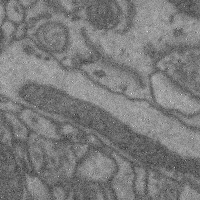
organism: Mouse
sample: Cerebral cortex